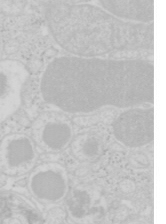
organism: Mouse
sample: Pancreas